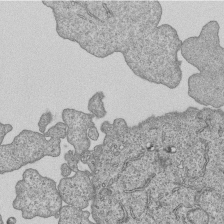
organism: Human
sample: MDA-MB-231 cells